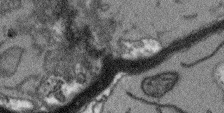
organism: Arabidopsis thaliana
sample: Root tip